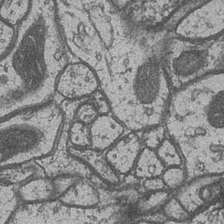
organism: Drosophila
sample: Optic medulla